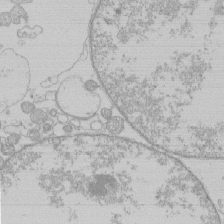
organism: Human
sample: Macrophage cells